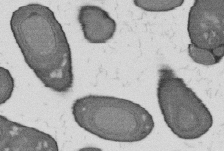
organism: B. subtilis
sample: Bacterial spore